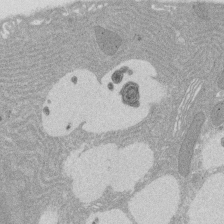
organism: Rat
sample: Salivary granule